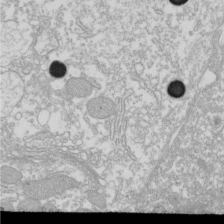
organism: Xenopus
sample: Cilia; centrioles in frog embryo cells